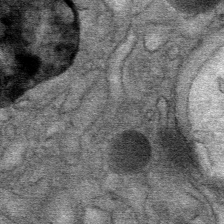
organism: Mouse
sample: Mouse Salivary gland